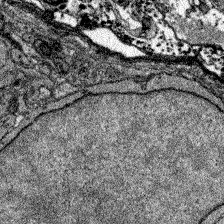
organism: Zebrafish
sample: Larval olfactory bulb